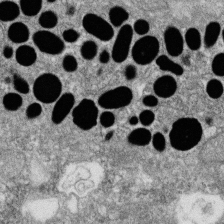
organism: Zebrafish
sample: Cilia; retinal pigment epithelium